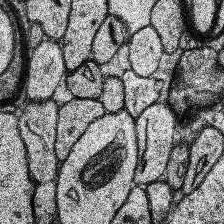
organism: Human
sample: Temporal Lobe